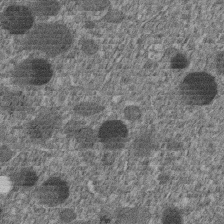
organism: C. elegans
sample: C. elegans embryo early stage